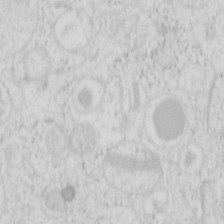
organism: Mouse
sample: Pancreas